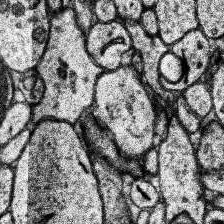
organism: Human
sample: Temporal Lobe